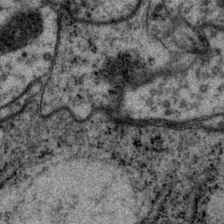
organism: P. pacificus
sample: Pharynx